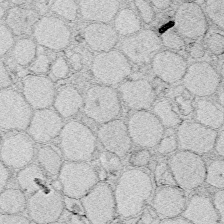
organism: Zebrafish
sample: Whole-Brain